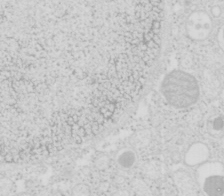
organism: Mouse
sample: Pancreas